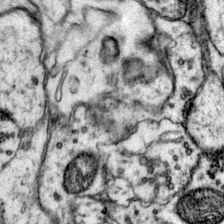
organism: Mouse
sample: Primary visual cortex